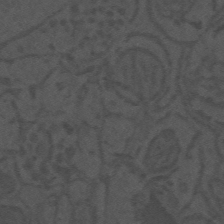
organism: Mouse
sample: Suprachiasmatic nucleus